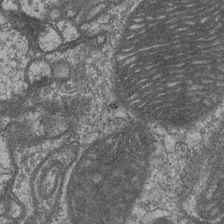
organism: Drosophila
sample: Optic medulla